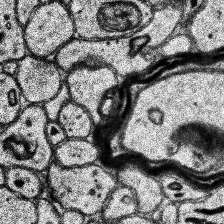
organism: Human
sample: Temporal Lobe